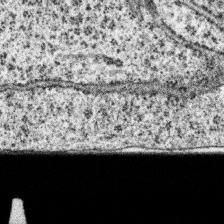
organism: Human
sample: HeLa cells